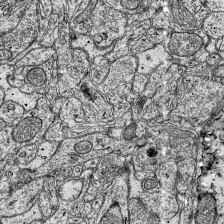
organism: Mouse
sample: Visual Cortex